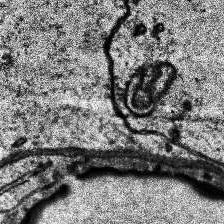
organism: Human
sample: Temporal Lobe